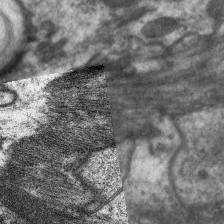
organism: C. elegans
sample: Pharynx